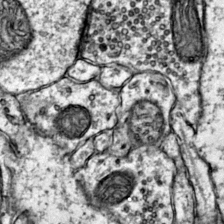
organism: Mouse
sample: Primary visual cortex